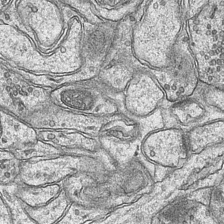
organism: Mouse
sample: CA1 Hippocampus